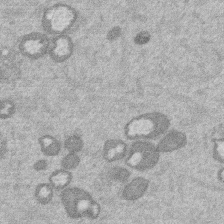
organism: Mouse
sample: Dividing mouse embryo 1 cell stage